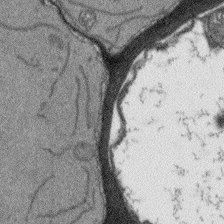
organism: Arabidopsis thaliana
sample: Root tip